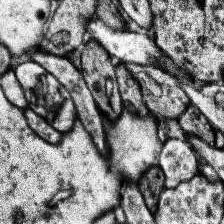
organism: Human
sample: Temporal Lobe